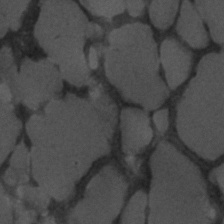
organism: C. elegans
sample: C. elegans embryo